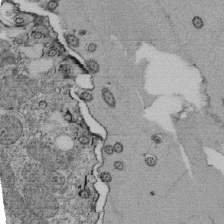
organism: Tetrahymena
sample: Cilia in tetrahymena